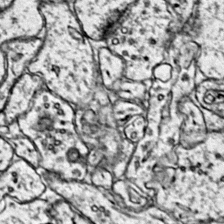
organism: Mouse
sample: Primary visual cortex